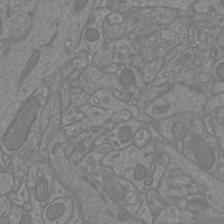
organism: Mouse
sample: Cortical neurons